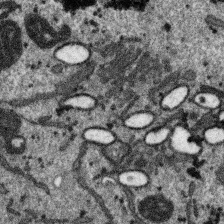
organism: Human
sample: Lung epithelial cells infected with SARS-CoV-2